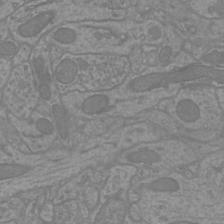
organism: Mouse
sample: Cortical neurons